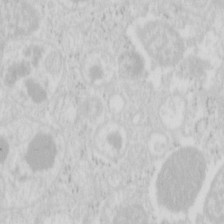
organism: Mouse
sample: Pancreas